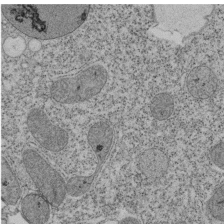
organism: Tetrahymena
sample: Cilia in tetrahymena